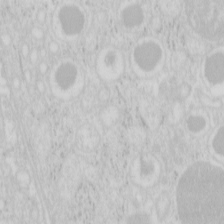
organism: Mouse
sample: Pancreas